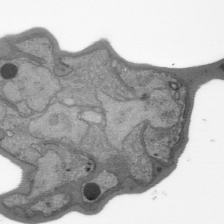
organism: Plasmodium falciparum